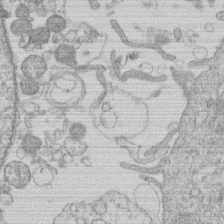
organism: Human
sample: Macrophage cells